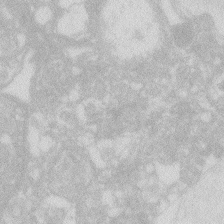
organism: Zebrafish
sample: Macrophage